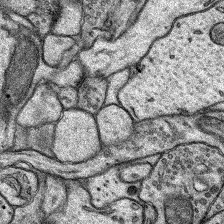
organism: Rat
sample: Hippocampus